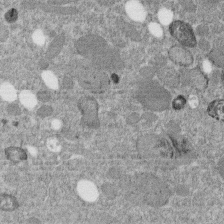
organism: C. elegans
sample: C. elegans embryo early stage